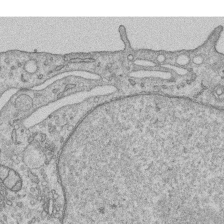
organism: Human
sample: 1205lu cells